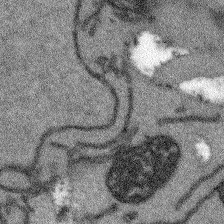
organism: Arabidopsis thaliana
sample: Root tip